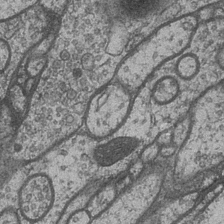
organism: Drosophila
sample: Optic medulla